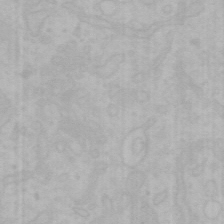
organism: Mouse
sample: Choroid plexus